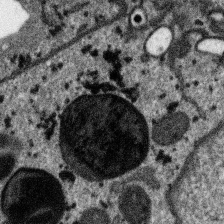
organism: Human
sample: Lung epithelial cells infected with SARS-CoV-2